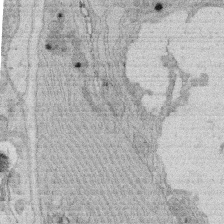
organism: Rat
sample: Salivary granule